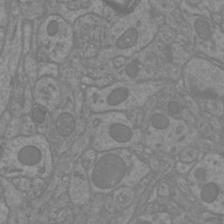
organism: Mouse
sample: Cortical neurons